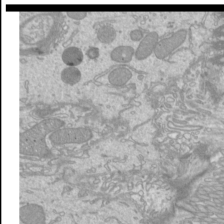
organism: Mouse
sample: Cilia; mouse epididymis